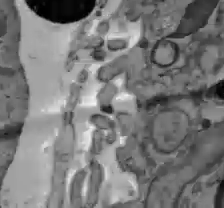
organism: C57BL Mouse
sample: Liver